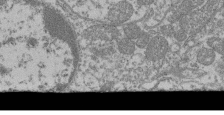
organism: Mouse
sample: Glomerulus